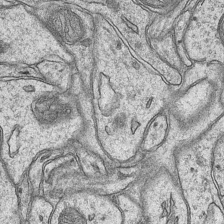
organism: Mouse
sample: CA1 Hippocampus